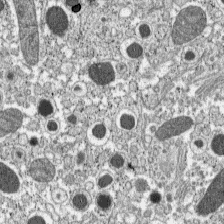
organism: C57BL Mouse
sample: Pancreatic islet